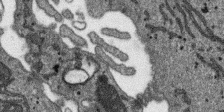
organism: Human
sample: Lung epithelial cells infected with SARS-CoV-2